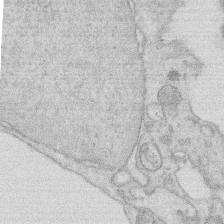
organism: Rat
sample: Salivary granule